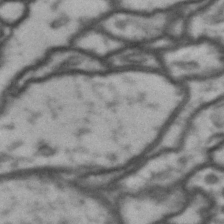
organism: Drosophila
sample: Brain